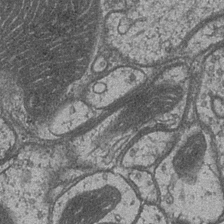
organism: Drosophila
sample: Optic medulla